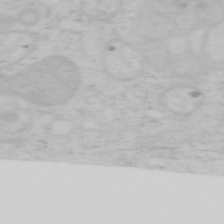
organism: Mouse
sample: OT-I killer T cells with ID8 ovarian cancer cells